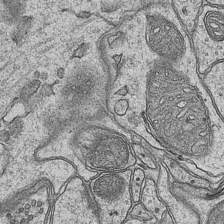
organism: Mouse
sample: CA1 Hippocampus